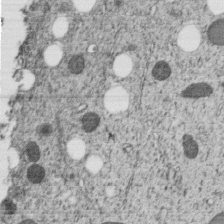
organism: C. elegans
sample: C. elegans embryo early stage